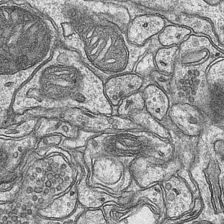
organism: Mouse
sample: CA1 Hippocampus